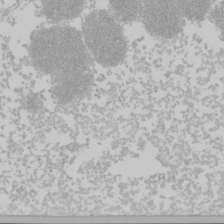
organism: Mouse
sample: Cancer cell death in ED-1 cells